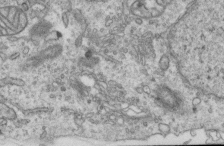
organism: Human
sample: Centriole in RPE cells